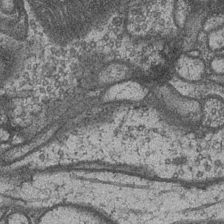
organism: Drosophila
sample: Optic medulla